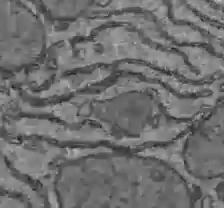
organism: C57BL Mouse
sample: Liver